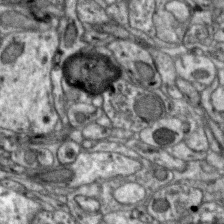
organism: Zebra finch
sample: Brain